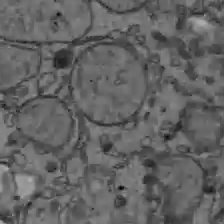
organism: C57BL Mouse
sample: Liver